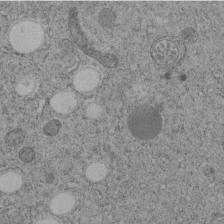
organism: C. elegans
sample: C. elegans embryo early stage